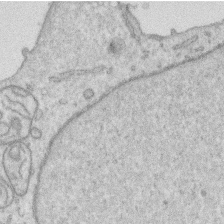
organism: Human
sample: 1205lu cells